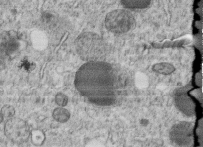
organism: C. elegans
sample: C. elegans embryo early stage